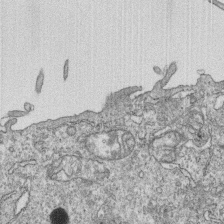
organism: Human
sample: HeLa cell HIV synapse